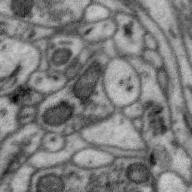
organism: Zebra finch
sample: Brain